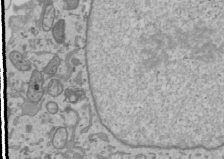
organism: Human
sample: Mitochondria in U2OS cells